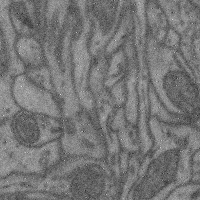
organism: Mouse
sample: Cerebral cortex